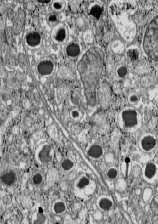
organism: C57BL Mouse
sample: Pancreatic islet